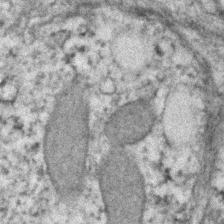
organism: Human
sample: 1205lu cells